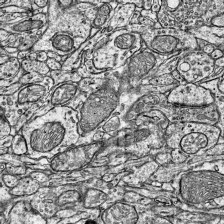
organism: Mouse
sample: Visual Cortex